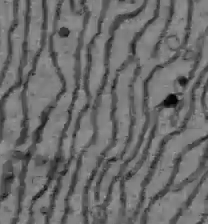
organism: C57BL Mouse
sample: Liver